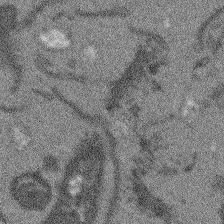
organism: Arabidopsis thaliana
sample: Root tip